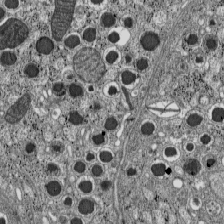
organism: C57BL Mouse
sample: Pancreatic islet